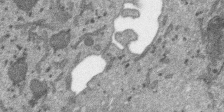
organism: Human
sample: Lung epithelial cells infected with SARS-CoV-2